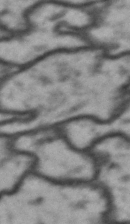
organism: Drosophila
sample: Brain